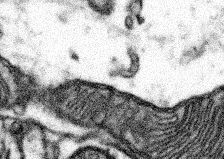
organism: Mouse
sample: Somatosensory cortex neuropil